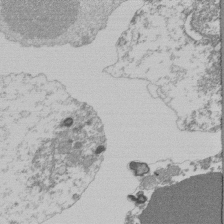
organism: Mouse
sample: Activated Pmel transgenic CD8+ T Cells